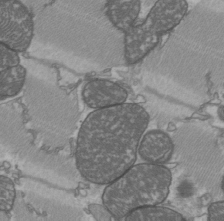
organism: C57BL Mouse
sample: Heart